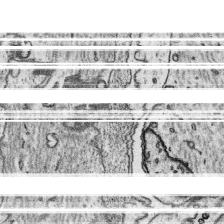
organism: Platynereis dumerilii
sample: Parapodia